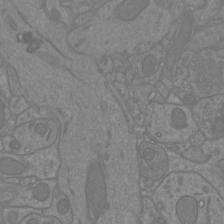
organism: Mouse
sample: Cortical neurons